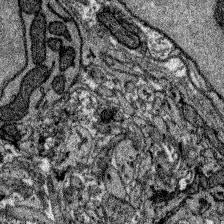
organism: Zebrafish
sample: Larval olfactory bulb